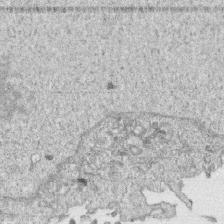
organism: Human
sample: HeLa cell HIV synapse